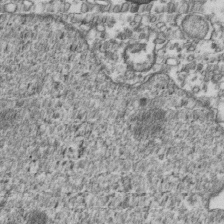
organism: Human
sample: Activated Jurkat CD4+ T cells